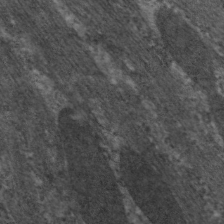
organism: C. elegans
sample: Pharynx